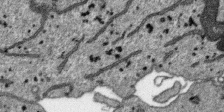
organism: Human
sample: Lung epithelial cells, uninfected (mock) control